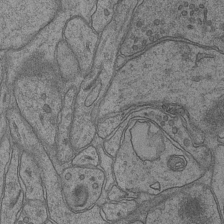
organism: Mouse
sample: CA1 Hippocampus